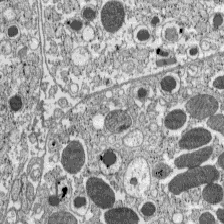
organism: C57BL Mouse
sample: Pancreatic islet